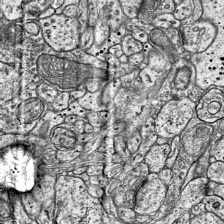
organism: Mouse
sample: Visual Cortex